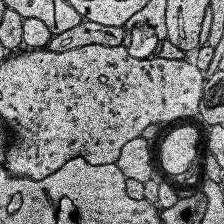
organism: Human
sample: Temporal Lobe